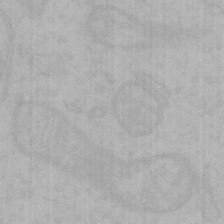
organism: Mouse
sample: Choroid plexus